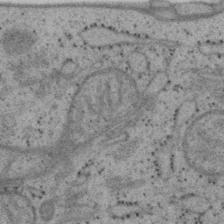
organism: Human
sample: HeLa cells